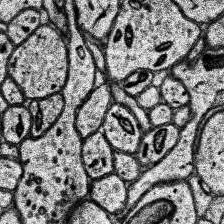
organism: Human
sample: Temporal Lobe